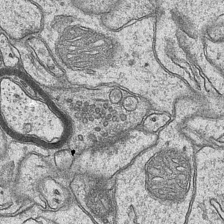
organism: Mouse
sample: CA1 Hippocampus